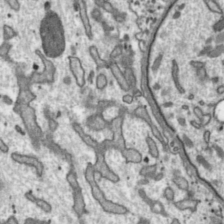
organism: Toxoplasma gondii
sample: Parasites in a vacuole inside a host cell